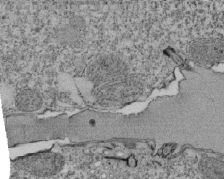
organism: Tetrahymena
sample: Cilia in tetrahymena